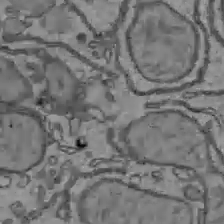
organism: C57BL Mouse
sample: Liver